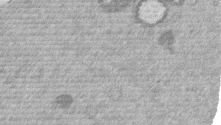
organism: Mouse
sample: Dividing mouse embryo 1 cell stage